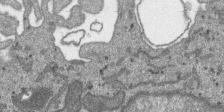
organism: Human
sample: Lung epithelial cells infected with SARS-CoV-2